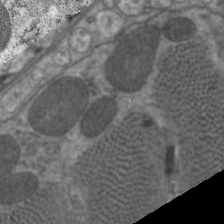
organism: C. elegans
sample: Pharynx